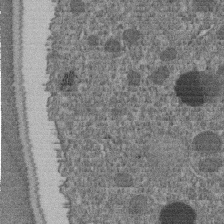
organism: C. elegans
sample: C. elegans embryo early stage